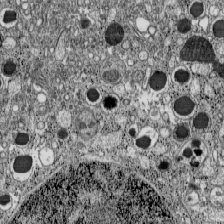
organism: C57BL Mouse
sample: Pancreatic islet